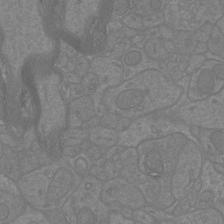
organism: Mouse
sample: Cortical neurons